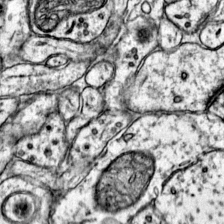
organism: Mouse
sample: Primary visual cortex